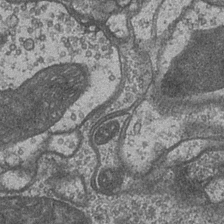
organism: Drosophila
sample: Optic medulla